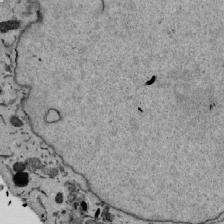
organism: Mouse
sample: ED-1 cell nuclei; centrioles